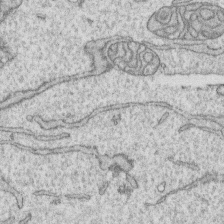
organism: Human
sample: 1205lu cells